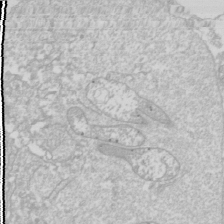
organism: Drosophila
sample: Cell division; meiosis; drosophila spermatocytes